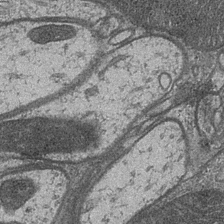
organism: Drosophila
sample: Optic medulla